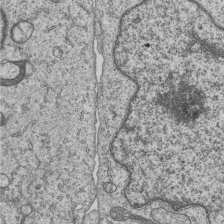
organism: Human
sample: MDA-MB-231 cells